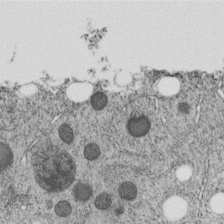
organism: C. elegans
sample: C. elegans embryo early stage